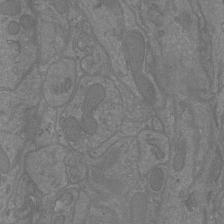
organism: Mouse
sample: Cortical neurons